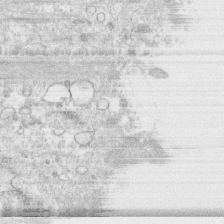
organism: Human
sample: CRL-1474